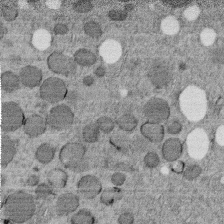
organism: C. elegans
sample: C. elegans embryo early stage